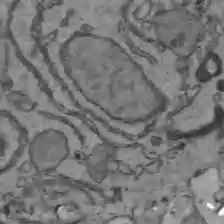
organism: C57BL Mouse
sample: Liver